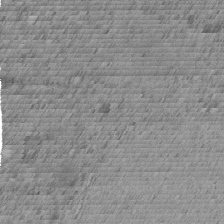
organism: C. elegans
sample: C. elegans embryo early stage